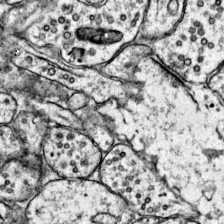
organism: Mouse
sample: Primary visual cortex